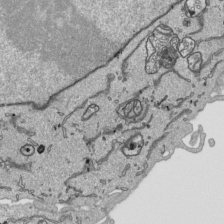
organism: Human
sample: Mitochondria in HCT116 cells